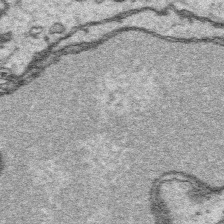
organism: Platynereis dumerilii